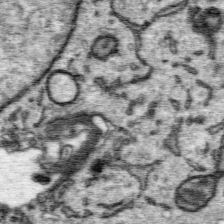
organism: Human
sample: HeLa cells